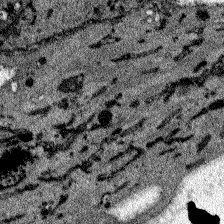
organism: Zebrafish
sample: Larval olfactory bulb